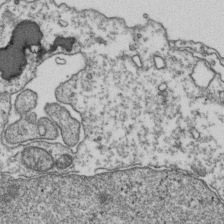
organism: Human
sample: Activated Jurkat CD4+ T cells